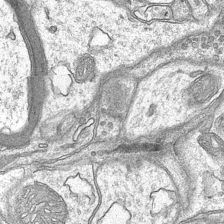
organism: Mouse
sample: CA1 Hippocampus